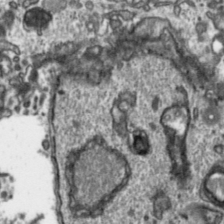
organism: Toxoplasma gondii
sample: Parasites in a vacuole inside a host cell